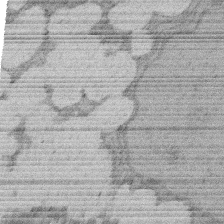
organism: Rat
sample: Salivary granule